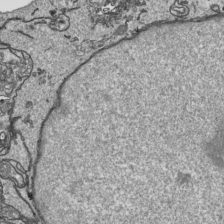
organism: Human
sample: Mitochondria in HCT116 cells